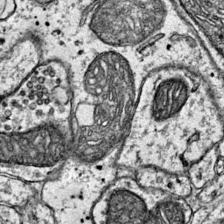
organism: Mouse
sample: Primary visual cortex